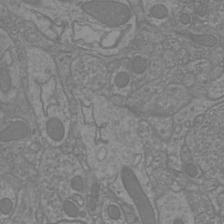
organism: Mouse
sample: Cortical neurons